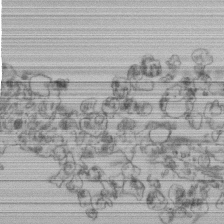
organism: Human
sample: Retinal organoid Rod and Cone cells